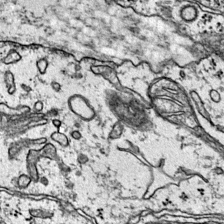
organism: Mouse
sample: Primary visual cortex